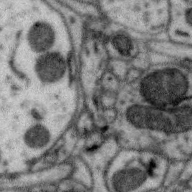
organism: Zebra finch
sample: Brain